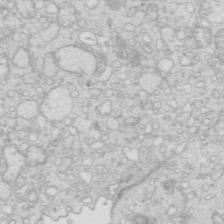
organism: Mouse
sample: Multiciliated cells